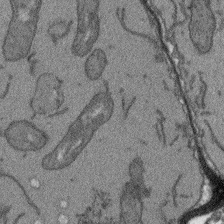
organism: Arabidopsis thaliana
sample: Root tip